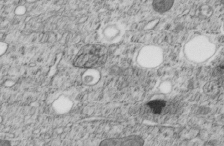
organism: C. elegans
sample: C. elegans embryo early stage